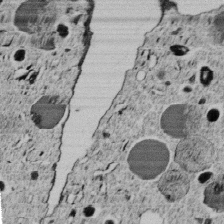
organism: C. elegans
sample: C. elegans embryo early stage